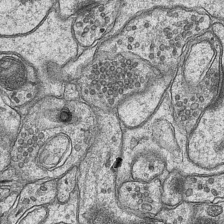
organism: Mouse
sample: CA1 Hippocampus